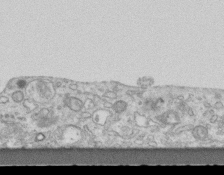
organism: Mouse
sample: Centriole in ependymal cells